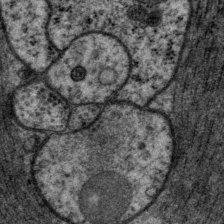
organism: P. pacificus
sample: Pharynx